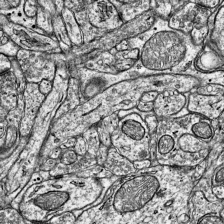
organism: Mouse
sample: Visual Cortex